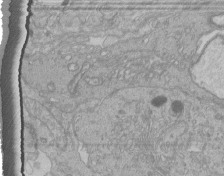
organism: Human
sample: Retinal organoid Rod and Cone cells